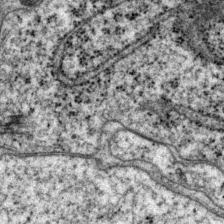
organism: P. pacificus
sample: Pharynx